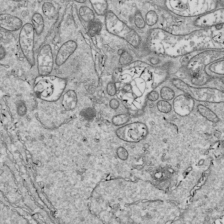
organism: Drosophila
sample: Cell division; meiosis; drosophila spermatocytes